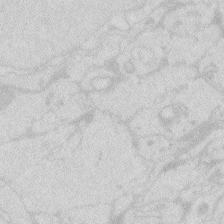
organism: Zebrafish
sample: Macrophage